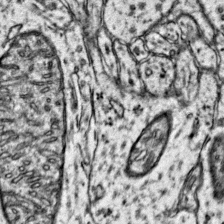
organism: Mouse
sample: Primary visual cortex